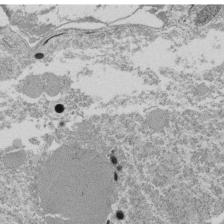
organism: Tetrahymena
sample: Cilia in tetrahymena